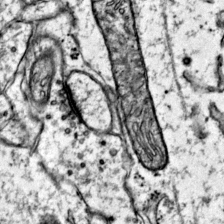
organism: Mouse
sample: Primary visual cortex